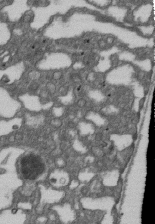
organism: Drosophila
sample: Nephrocyte